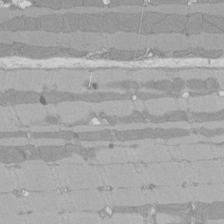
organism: Rat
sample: Left ventricle